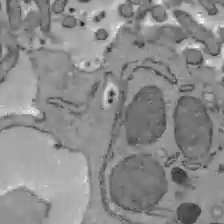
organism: C57BL Mouse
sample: Liver